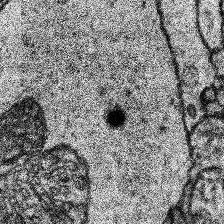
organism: Human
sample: Temporal Lobe